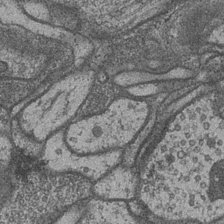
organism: Drosophila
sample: Optic medulla